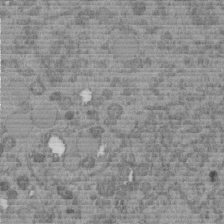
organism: C. elegans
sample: C. elegans embryo early stage